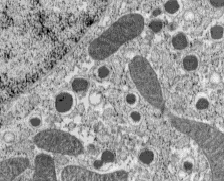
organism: C57BL Mouse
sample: Pancreatic islet